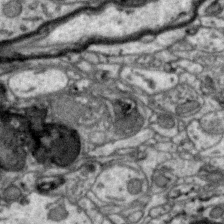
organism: Zebra finch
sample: Brain